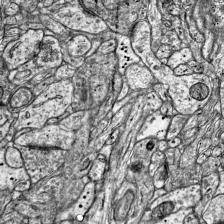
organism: Mouse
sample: Visual Cortex